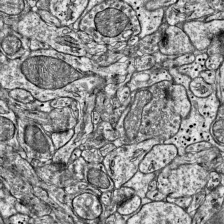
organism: Mouse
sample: Visual Cortex